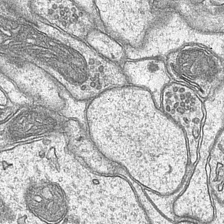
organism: Mouse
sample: CA1 Hippocampus